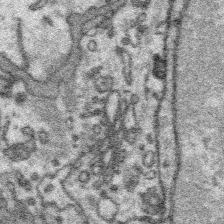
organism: Platynereis dumerilii